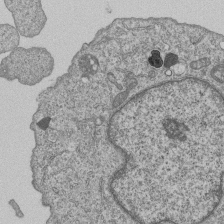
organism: Human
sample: MDA-MB-231 cells